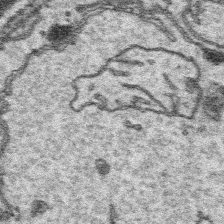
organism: Platynereis dumerilii